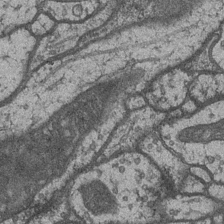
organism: Drosophila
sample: Optic medulla